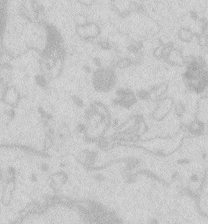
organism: Zebrafish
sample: Macrophage